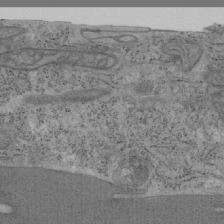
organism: Human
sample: HeLa cells